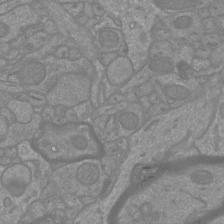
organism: Mouse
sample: Cortical neurons